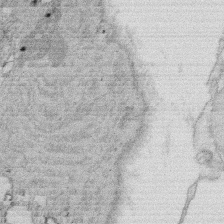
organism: Rat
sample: Salivary granule